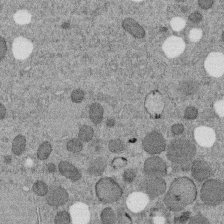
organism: C. elegans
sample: C. elegans embryo early stage